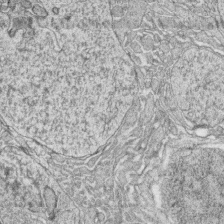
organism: Zebrafish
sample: synaptic ribbons in rod cells and cone cells